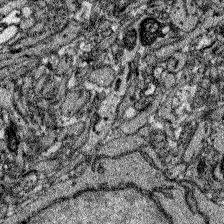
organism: Zebrafish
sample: Larval olfactory bulb